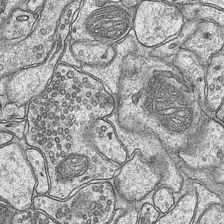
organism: Mouse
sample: CA1 Hippocampus